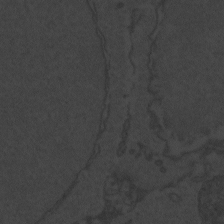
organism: Zebrafish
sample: Macrophage infected with Toxoplasma gondii